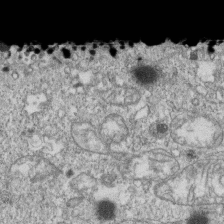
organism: Human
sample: HeLa cell HIV synapse